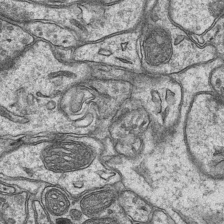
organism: Mouse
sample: CA1 Hippocampus